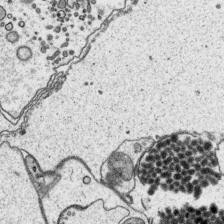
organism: Platynereis dumerilii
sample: Parapodia